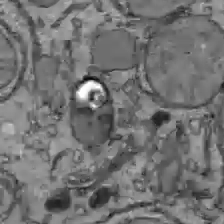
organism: C57BL Mouse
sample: Liver